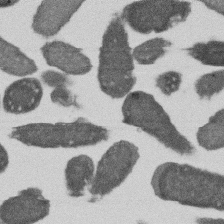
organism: E. coli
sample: Bacterial nucleoid